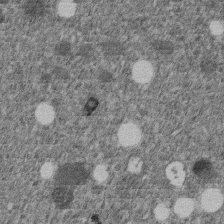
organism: C. elegans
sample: C. elegans embryo early stage